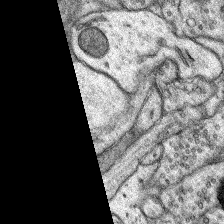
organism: Rat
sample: Hippocampus